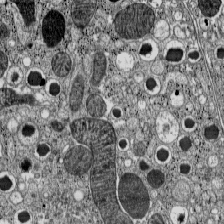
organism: C57BL Mouse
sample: Pancreatic islet